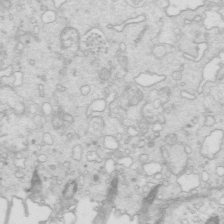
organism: Mouse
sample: Multiciliated cells